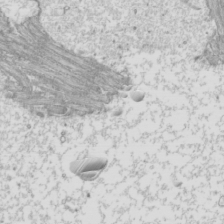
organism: Mouse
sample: Cilia; mouse epididymis